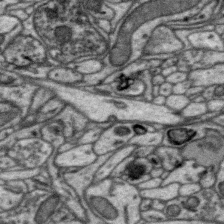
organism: Zebra finch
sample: Brain